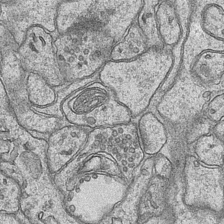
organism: Mouse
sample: CA1 Hippocampus